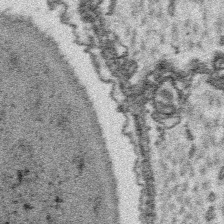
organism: Platynereis dumerilii